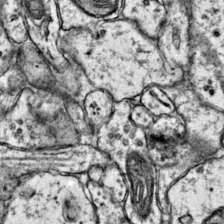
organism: Mouse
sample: Primary visual cortex